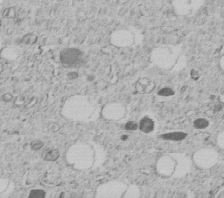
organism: C. elegans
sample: C. elegans embryo early stage